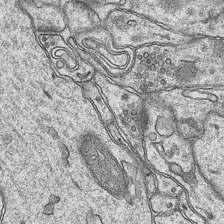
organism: Mouse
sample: CA1 Hippocampus